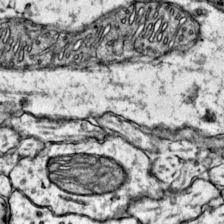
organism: Mouse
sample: Primary visual cortex